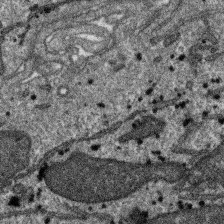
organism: Human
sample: Lung epithelial cells infected with SARS-CoV-2